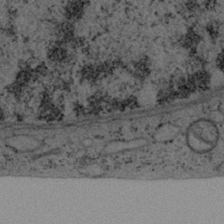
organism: Human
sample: HeLa cells